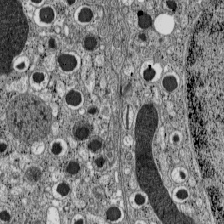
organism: C57BL Mouse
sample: Pancreatic islet